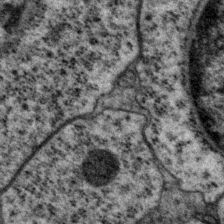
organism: P. pacificus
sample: Pharynx